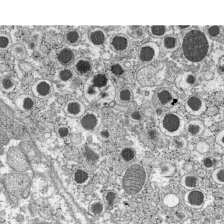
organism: C57BL Mouse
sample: Pancreatic islet